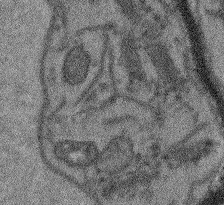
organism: Arabidopsis thaliana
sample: Root tip